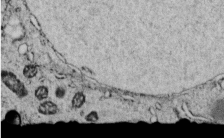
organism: C. elegans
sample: C. elegans embryo early stage